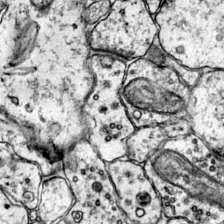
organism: Mouse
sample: Primary visual cortex